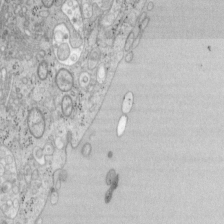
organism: Mouse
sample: OT-I killer T cells with ID8 ovarian cancer cells